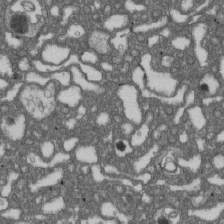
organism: Drosophila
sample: Nephrocyte